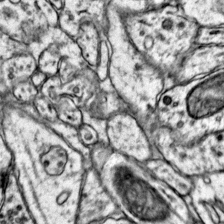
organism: Mouse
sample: Primary visual cortex